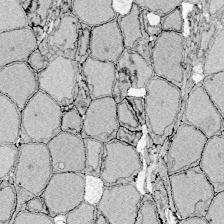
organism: Zebrafish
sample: Whole-Brain